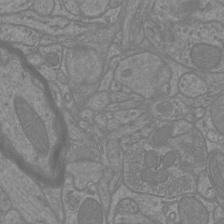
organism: Mouse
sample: Cortical neurons